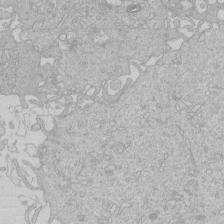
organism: Human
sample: Macrophage cells